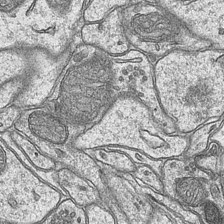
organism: Mouse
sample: CA1 Hippocampus